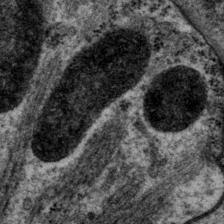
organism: P. pacificus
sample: Pharynx